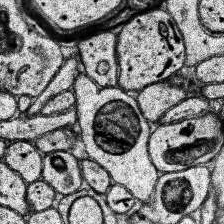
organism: Human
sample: Temporal Lobe